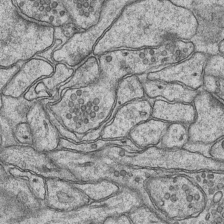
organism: Mouse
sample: CA1 Hippocampus